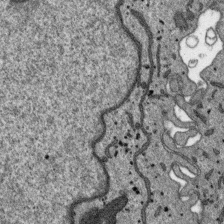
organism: Human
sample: Lung epithelial cells, uninfected (mock) control